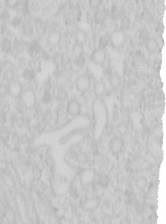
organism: Mouse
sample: Pancreas